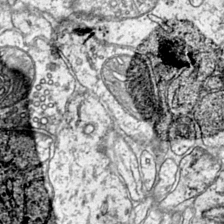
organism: Mouse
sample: Primary visual cortex